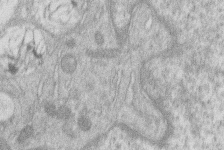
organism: Human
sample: Macrophage cells